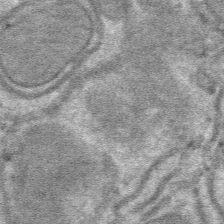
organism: Mouse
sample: Mouse hepatocytes